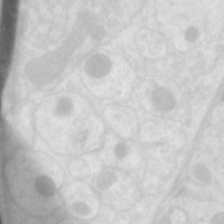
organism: C. elegans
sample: Pharynx